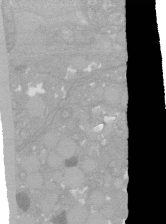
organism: C. elegans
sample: C. elegans oocyte; sperm cells